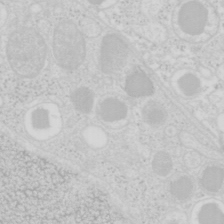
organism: Mouse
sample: Pancreas